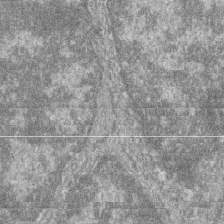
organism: Zebrafish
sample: Cilia; retinal pigment epithelium